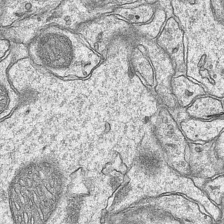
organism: Mouse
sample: CA1 Hippocampus